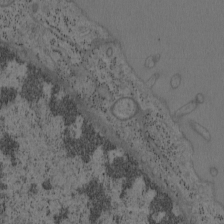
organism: Mouse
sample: OT-I killer T cells with ID8 ovarian cancer cells